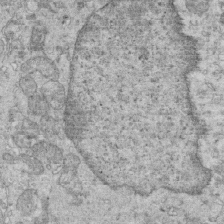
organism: Mouse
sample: Multiciliated cells